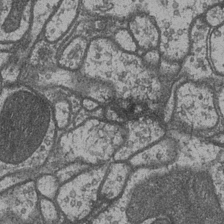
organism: Drosophila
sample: Optic medulla